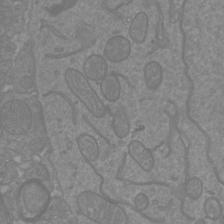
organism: Mouse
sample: Cortical neurons